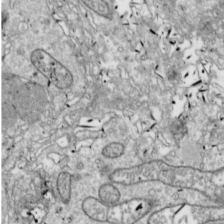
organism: Drosophila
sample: Cell division; meiosis; drosophila spermatocytes